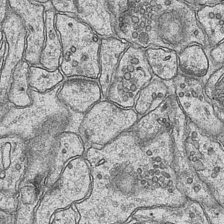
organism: Mouse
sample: CA1 Hippocampus